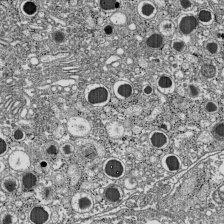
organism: C57BL Mouse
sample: Pancreatic islet